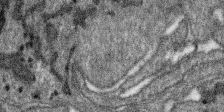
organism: Human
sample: Lung epithelial cells infected with SARS-CoV-2